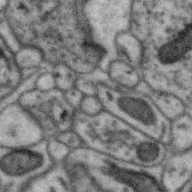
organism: Zebra finch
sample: Brain